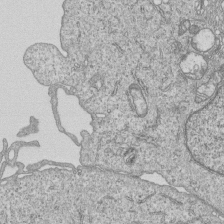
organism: Human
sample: MDA-MB-231 cells